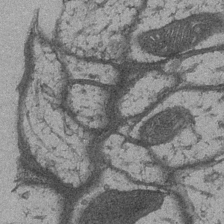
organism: Drosophila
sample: Optic medulla